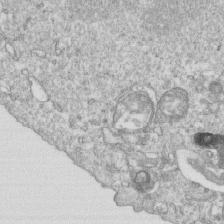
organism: Mouse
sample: Activated OT-1 CD8+ T cells